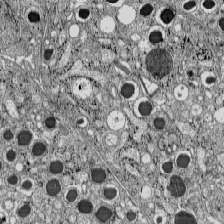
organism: C57BL Mouse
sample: Pancreatic islet